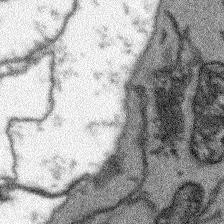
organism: Arabidopsis thaliana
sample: Root tip